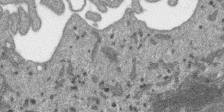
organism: Human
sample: Lung epithelial cells infected with SARS-CoV-2